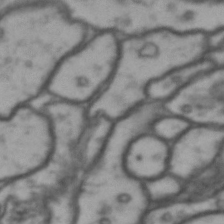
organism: Drosophila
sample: Brain